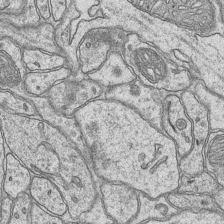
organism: Mouse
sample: CA1 Hippocampus